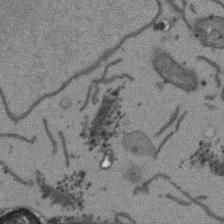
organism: Arabidopsis thaliana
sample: Root tip